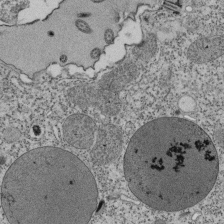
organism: Tetrahymena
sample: Cilia in tetrahymena